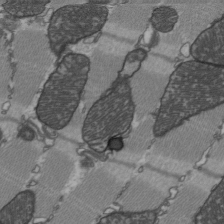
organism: C57BL Mouse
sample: Heart